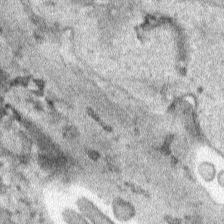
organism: Human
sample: Mitochondria in HCT116 cells